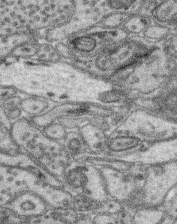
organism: Mouse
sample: Retina